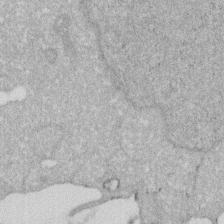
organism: Human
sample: HIV infected U937 cells